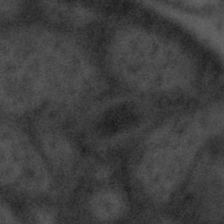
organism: Tuwongella immobilis